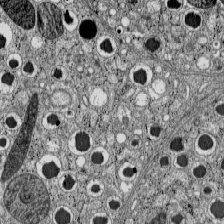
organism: C57BL Mouse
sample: Pancreatic islet